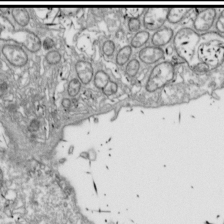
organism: Drosophila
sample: Cell division; meiosis; drosophila spermatocytes